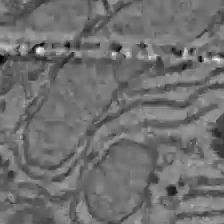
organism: C57BL Mouse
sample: Liver